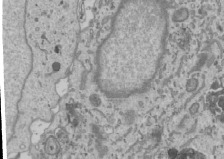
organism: Human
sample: Mitochondria in U2OS cells